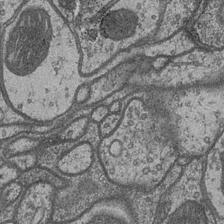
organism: Drosophila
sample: Optic medulla